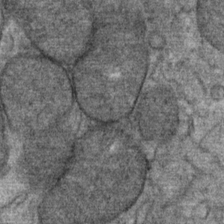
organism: Mouse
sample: Mouse Salivary gland